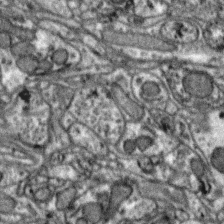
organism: Zebra finch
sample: Brain